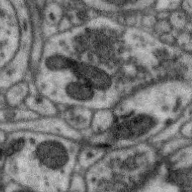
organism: Zebra finch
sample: Brain